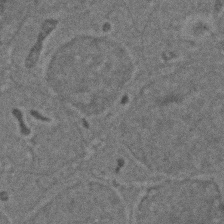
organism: Zebrafish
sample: Zebrafish embryo